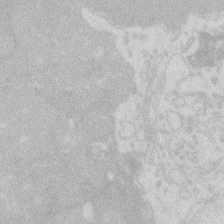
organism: Zebrafish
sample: Macrophage